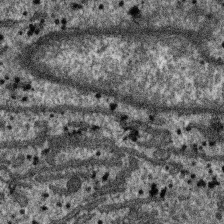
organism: Human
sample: Lung epithelial cells infected with SARS-CoV-2